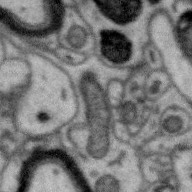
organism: Zebra finch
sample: Brain